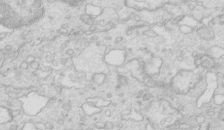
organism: Mouse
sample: Multiciliated cells